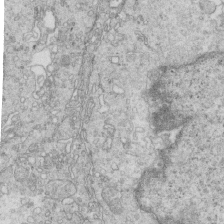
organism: Mouse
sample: Multiciliated cells